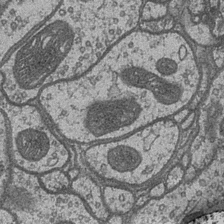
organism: Drosophila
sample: Optic medulla